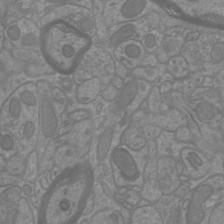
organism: Mouse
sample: Cortical neurons